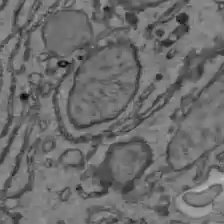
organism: C57BL Mouse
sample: Liver